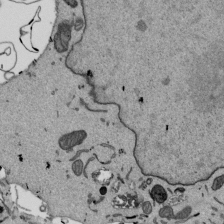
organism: Mouse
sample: ED-1 cell nuclei; centrioles